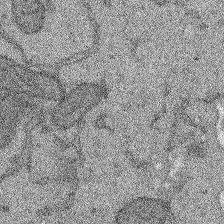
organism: Human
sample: HeLa cells